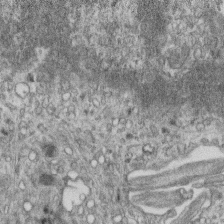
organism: Mouse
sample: Centriole in ependymal cells